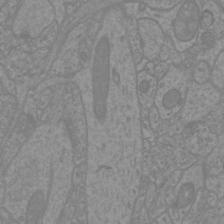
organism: Mouse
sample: Cortical neurons